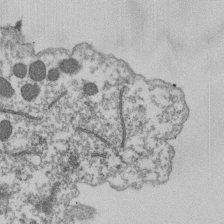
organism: Dictyostelium discoideum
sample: Dictyostelium multivesicular bodies